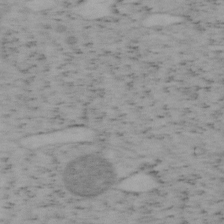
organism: Mouse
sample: OT-I killer T cells with ID8 ovarian cancer cells